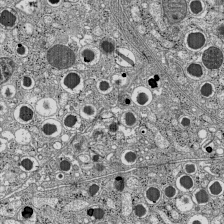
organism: C57BL Mouse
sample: Pancreatic islet